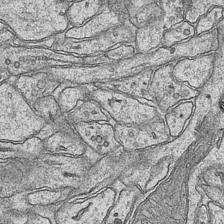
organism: Mouse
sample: CA1 Hippocampus